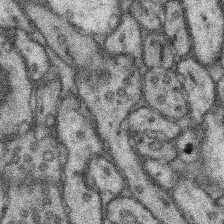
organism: Mouse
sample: Somatosensory cortex neuropil